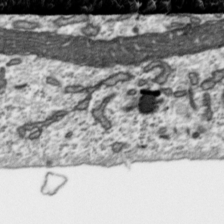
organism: Toxoplasma gondii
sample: Parasites in a vacuole inside a host cell